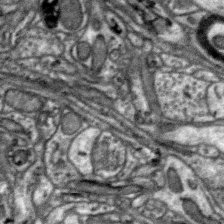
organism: Zebra finch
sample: Brain